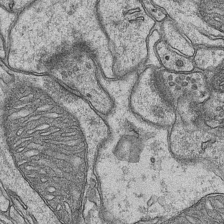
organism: Mouse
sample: CA1 Hippocampus